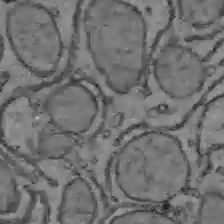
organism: C57BL Mouse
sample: Liver